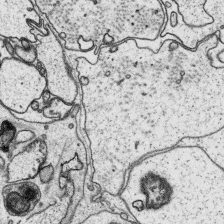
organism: Platynereis dumerilii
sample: Parapodia